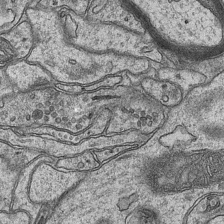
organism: Mouse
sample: CA1 Hippocampus